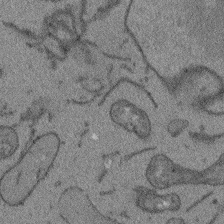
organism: Arabidopsis thaliana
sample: Root tip